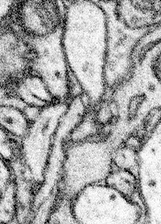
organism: Mouse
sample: Somatosensory cortex neuropil